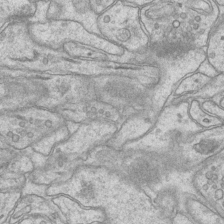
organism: Mouse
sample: CA1 Hippocampus